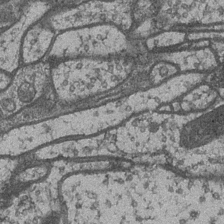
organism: Drosophila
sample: Optic medulla